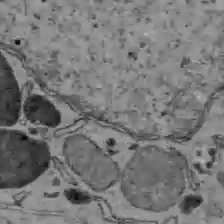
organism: C57BL Mouse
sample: Liver